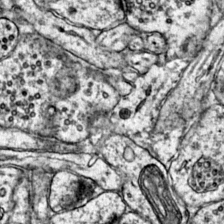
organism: Mouse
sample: Primary visual cortex